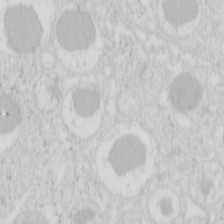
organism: Mouse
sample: Pancreas